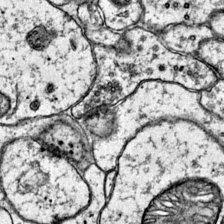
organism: Mouse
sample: Primary visual cortex